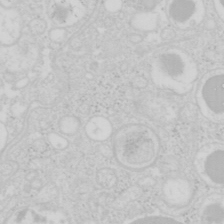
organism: Mouse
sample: Pancreas